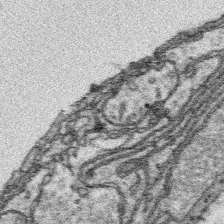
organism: Platynereis dumerilii